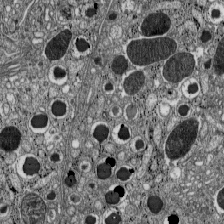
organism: C57BL Mouse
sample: Pancreatic islet